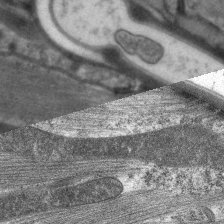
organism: C. elegans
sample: Pharynx